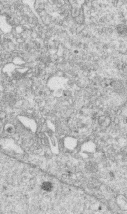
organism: Human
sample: HeLa cell HIV synapse